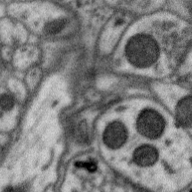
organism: Zebra finch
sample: Brain